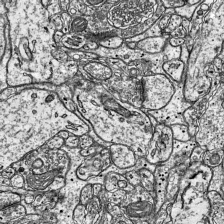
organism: Mouse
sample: Visual Cortex